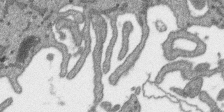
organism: Human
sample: Lung epithelial cells infected with SARS-CoV-2